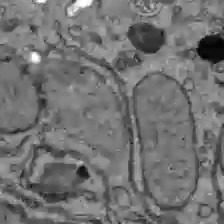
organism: C57BL Mouse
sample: Liver